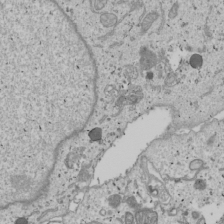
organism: Human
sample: Mitochondria in U2OS cells